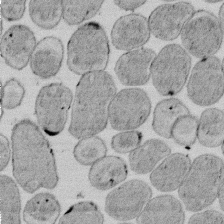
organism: E. coli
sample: Bacterial nucleoid